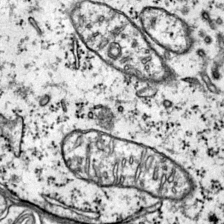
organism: Mouse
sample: Primary visual cortex